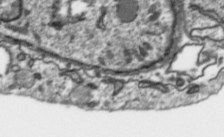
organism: Toxoplasma gondii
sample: Parasites in a vacuole inside a host cell